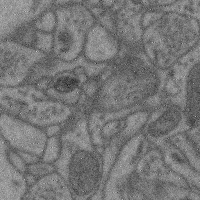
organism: Mouse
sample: Cerebral cortex